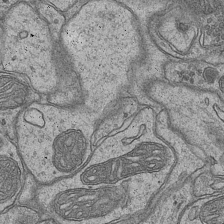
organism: Mouse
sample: CA1 Hippocampus